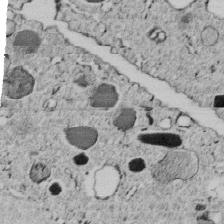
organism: C. elegans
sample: C. elegans embryo early stage